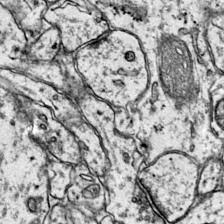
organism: Mouse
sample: Primary visual cortex